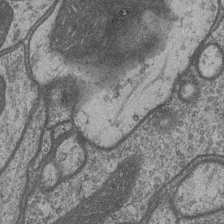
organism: Drosophila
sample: Optic medulla